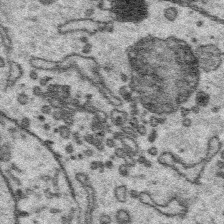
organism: Platynereis dumerilii